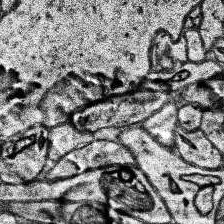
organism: Human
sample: Temporal Lobe